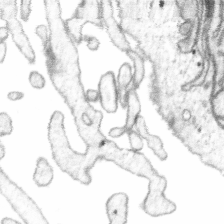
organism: Human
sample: HeLa cells